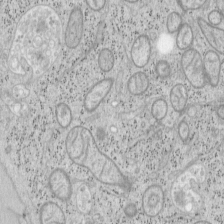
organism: Mouse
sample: OT-I killer T cells with ID8 ovarian cancer cells